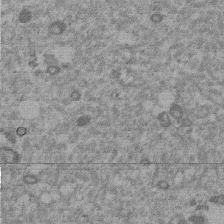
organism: Mouse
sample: Dividing mouse embryo 1 cell stage